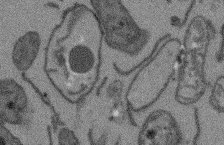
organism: Arabidopsis thaliana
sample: Root tip